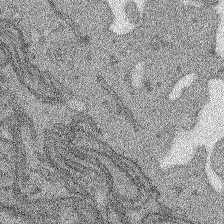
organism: Human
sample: HeLa cells